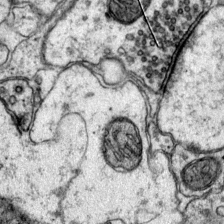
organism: Mouse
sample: Primary visual cortex